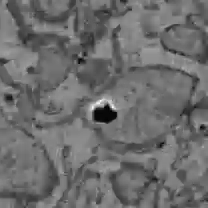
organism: C57BL Mouse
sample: Liver